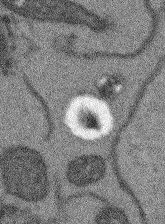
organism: Arabidopsis thaliana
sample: Root tip